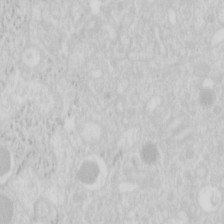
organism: Mouse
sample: Pancreas